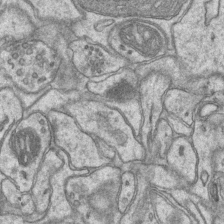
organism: Mouse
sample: CA1 Hippocampus